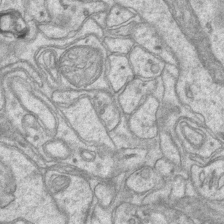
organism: Mouse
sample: CA1 Hippocampus